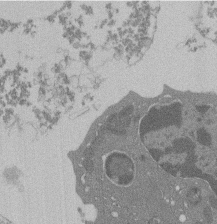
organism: Mouse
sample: Activated Pmel transgenic CD8+ T Cells